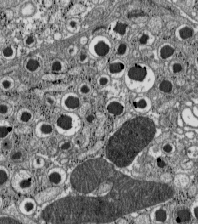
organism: C57BL Mouse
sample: Pancreatic islet